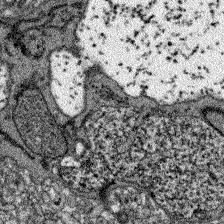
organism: Zebrafish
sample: Larval olfactory bulb